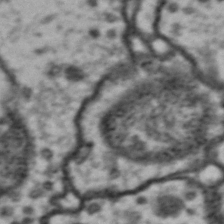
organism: Drosophila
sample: Brain